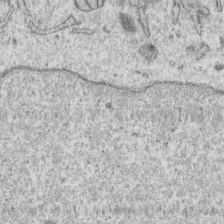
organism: Human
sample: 1205lu cells